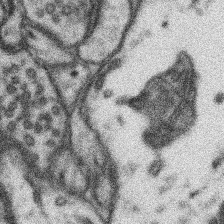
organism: Mouse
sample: Somatosensory cortex neuropil